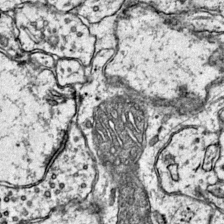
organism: Mouse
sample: Primary visual cortex